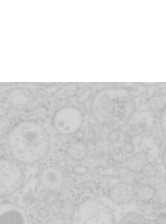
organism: Mouse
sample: Pancreas